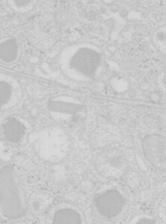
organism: Mouse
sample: Pancreas